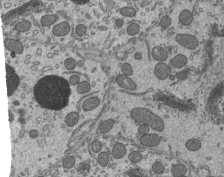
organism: Mouse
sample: Mouse epididymis efferent ductule cilia